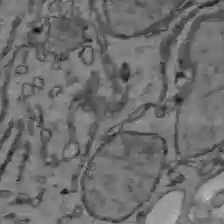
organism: C57BL Mouse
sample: Liver